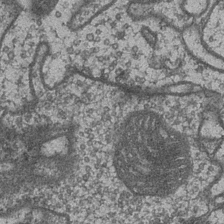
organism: Drosophila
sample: Optic medulla